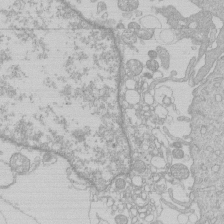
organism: Human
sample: Macrophage cells